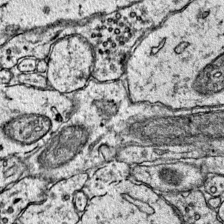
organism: Mouse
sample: Primary visual cortex